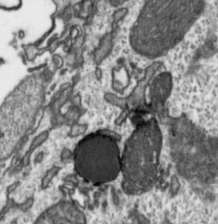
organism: Toxoplasma gondii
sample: Parasites in a vacuole inside a host cell